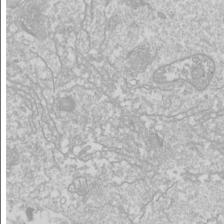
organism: Drosophila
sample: Cell division; meiosis; drosophila spermatocytes